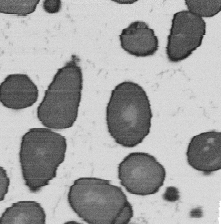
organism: B. subtilis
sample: Bacterial spore